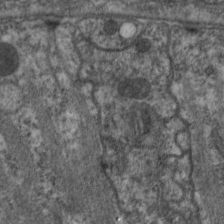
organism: C. elegans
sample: Pharynx